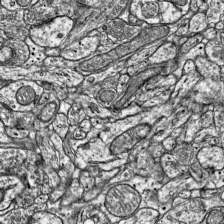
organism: Mouse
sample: Visual Cortex